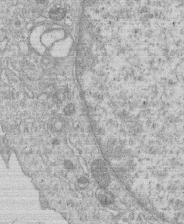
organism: Human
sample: Macrophage cells